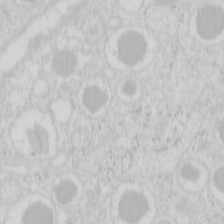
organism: Mouse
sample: Pancreas